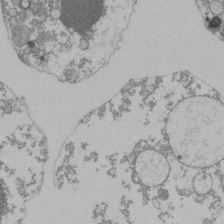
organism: Mouse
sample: Activated Pmel transgenic CD8+ T Cells